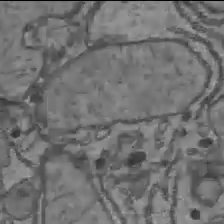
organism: C57BL Mouse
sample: Liver